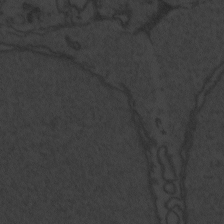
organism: Zebrafish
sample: Macrophage infected with Toxoplasma gondii